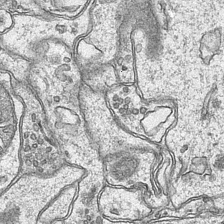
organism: Mouse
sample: CA1 Hippocampus